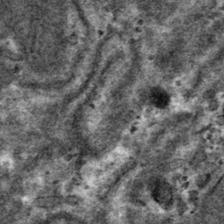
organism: Mouse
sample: Mouse hepatocytes